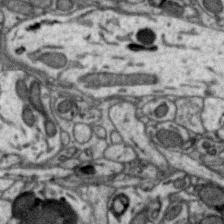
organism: Zebra finch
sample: Brain